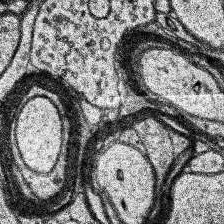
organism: Human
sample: Temporal Lobe